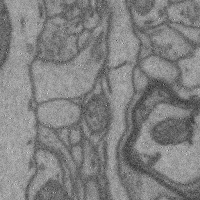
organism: Mouse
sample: Cerebral cortex